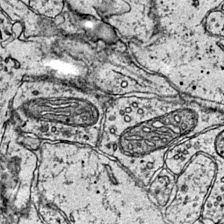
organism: Mouse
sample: Primary visual cortex